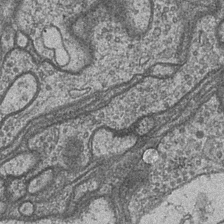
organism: Drosophila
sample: Optic medulla